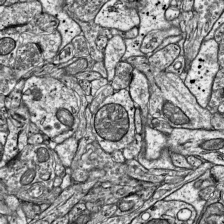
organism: Mouse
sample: Visual Cortex